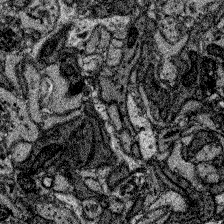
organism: Zebrafish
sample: Larval olfactory bulb